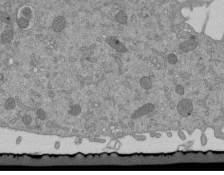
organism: Mouse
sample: ED-1 cell nuclei; centrioles